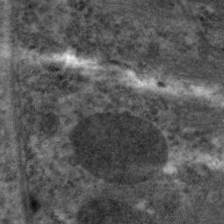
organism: C. elegans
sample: Pharynx